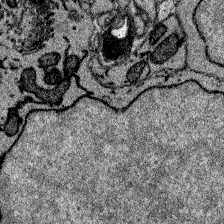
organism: Zebrafish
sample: Larval olfactory bulb